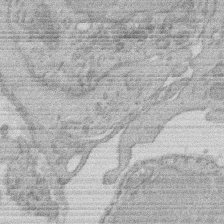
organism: Rat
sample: Salivary granule